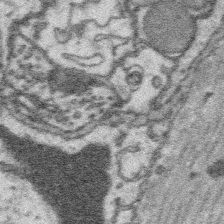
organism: Platynereis dumerilii